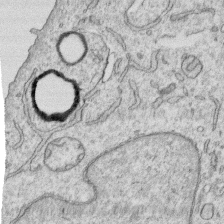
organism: Human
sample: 1205lu cells